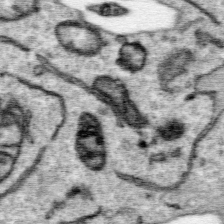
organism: Human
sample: HeLa cells